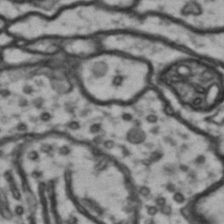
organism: Drosophila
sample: Brain